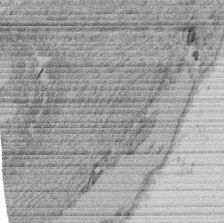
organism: Rat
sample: Salivary granule